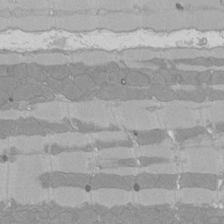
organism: Rat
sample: Left ventricle